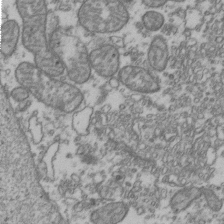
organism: Human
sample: Activated Jurkat CD4+ T cells